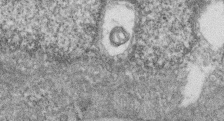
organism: Zebrafish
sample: Cilia; retinal pigment epithelium